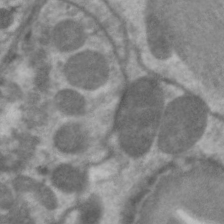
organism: C. elegans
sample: Pharynx